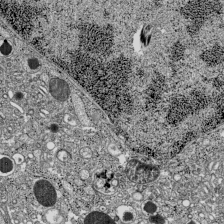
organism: C57BL Mouse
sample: Pancreatic islet